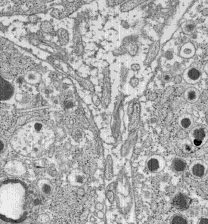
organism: C57BL Mouse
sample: Pancreatic islet